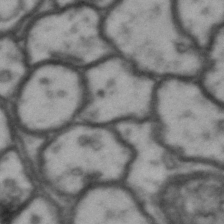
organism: Drosophila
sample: Brain